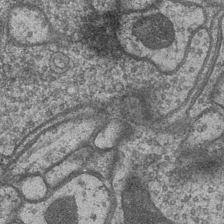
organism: Drosophila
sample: Optic medulla